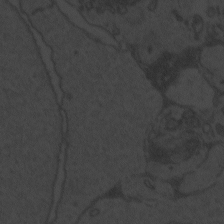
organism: Zebrafish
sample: Macrophage infected with Toxoplasma gondii